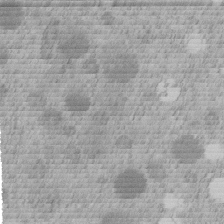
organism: C. elegans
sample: C. elegans embryo early stage